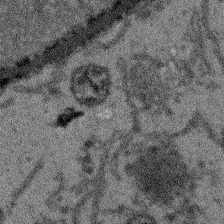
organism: Arabidopsis thaliana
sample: Root tip